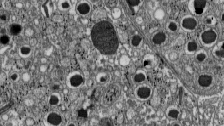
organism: C57BL Mouse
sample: Pancreatic islet